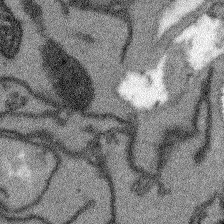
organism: Arabidopsis thaliana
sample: Root tip